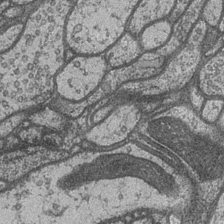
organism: Drosophila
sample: Optic medulla